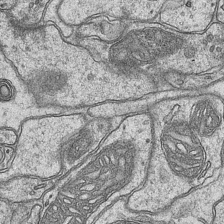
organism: Mouse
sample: CA1 Hippocampus